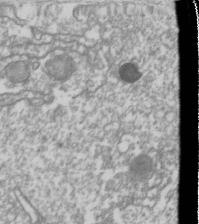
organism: Drosophila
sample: Cell division; meiosis; drosophila spermatocytes